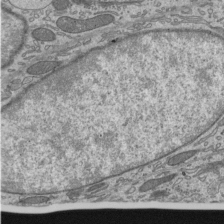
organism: Mouse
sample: Mouse epididymis efferent ductule cilia